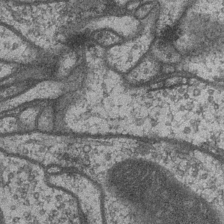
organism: Drosophila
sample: Optic medulla